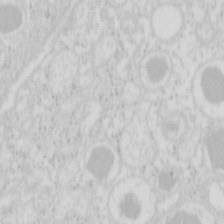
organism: Mouse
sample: Pancreas